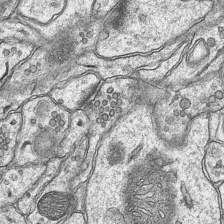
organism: Mouse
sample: CA1 Hippocampus